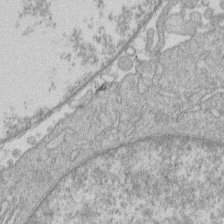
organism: Human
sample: Macrophage cells